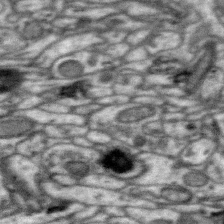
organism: Zebra finch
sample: Brain